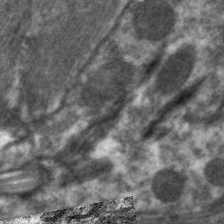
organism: C. elegans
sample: Pharynx